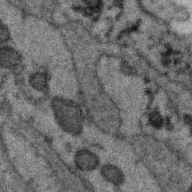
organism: Zebra finch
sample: Brain